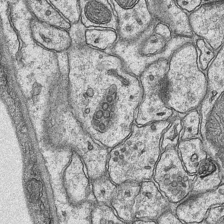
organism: Mouse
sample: CA1 Hippocampus